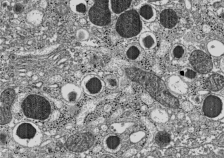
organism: C57BL Mouse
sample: Pancreatic islet